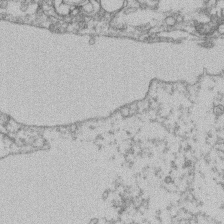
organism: Mouse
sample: T cell stromal cell synapse